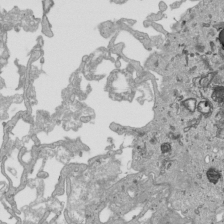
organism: Human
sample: Mitochondria in HCT116 cells